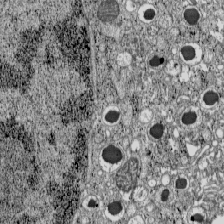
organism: C57BL Mouse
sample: Pancreatic islet